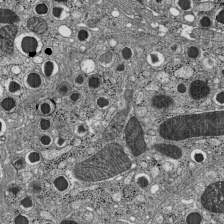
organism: C57BL Mouse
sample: Pancreatic islet